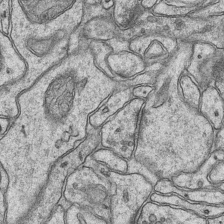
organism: Mouse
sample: CA1 Hippocampus